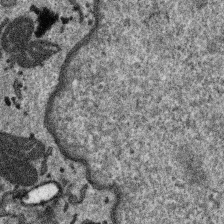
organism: Human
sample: Lung epithelial cells infected with SARS-CoV-2